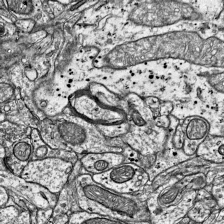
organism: Mouse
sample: Visual Cortex